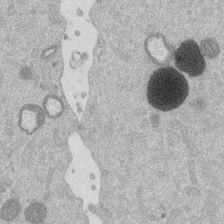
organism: Mouse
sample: Dividing mouse embryo 1 cell stage